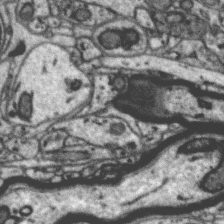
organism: Zebra finch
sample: Brain